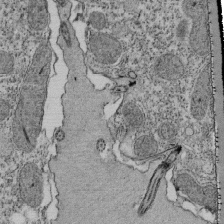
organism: Tetrahymena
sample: Cilia in tetrahymena